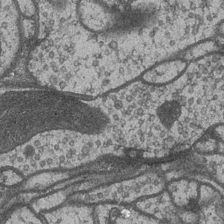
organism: Drosophila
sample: Optic medulla